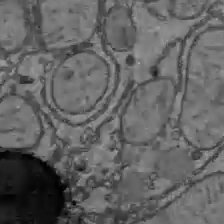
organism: C57BL Mouse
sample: Liver